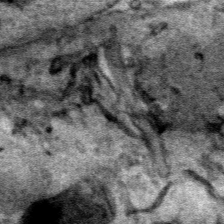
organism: Human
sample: Mitochondria in HCT116 cells